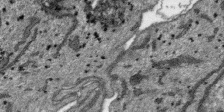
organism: Human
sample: Lung epithelial cells, uninfected (mock) control